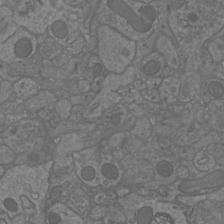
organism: Mouse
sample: Cortical neurons